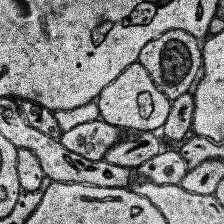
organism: Human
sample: Temporal Lobe